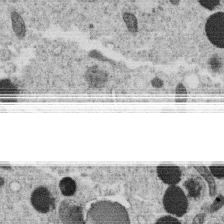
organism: C. elegans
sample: C. elegans oocyte; sperm cells